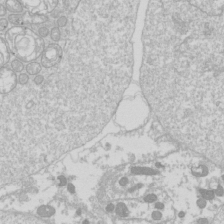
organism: Drosophila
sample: Cell division; meiosis; drosophila spermatocytes